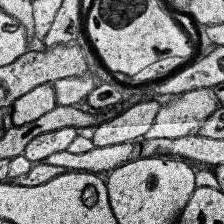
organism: Human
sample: Temporal Lobe